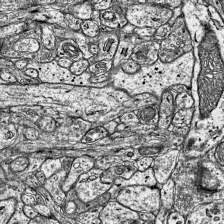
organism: Mouse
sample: Visual Cortex